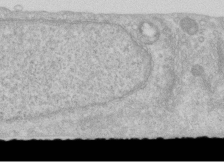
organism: Human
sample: Centriole in RPE cells